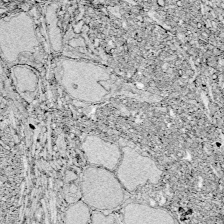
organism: Zebrafish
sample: Whole-Brain